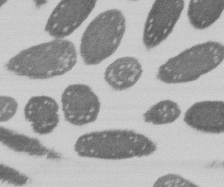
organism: E. coli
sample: Bacterial nucleoid